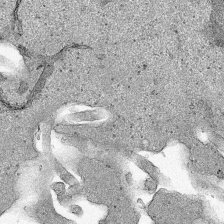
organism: Human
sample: Mitochondria in HCT116 cells